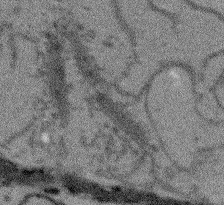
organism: Arabidopsis thaliana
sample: Root tip